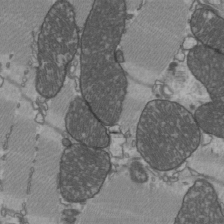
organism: C57BL Mouse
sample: Heart